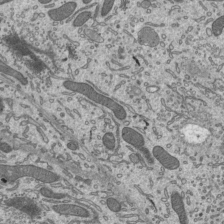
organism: Mouse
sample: Mouse epididymis efferent ductule cilia